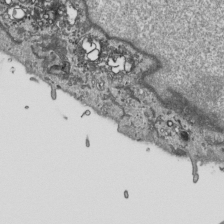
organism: Human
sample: Mitochondria in HCT116 cells